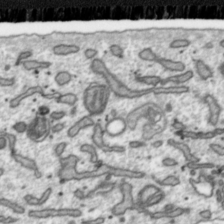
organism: Toxoplasma gondii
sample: Parasites in a vacuole inside a host cell